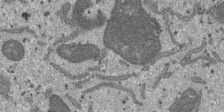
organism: Human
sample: Lung epithelial cells infected with SARS-CoV-2